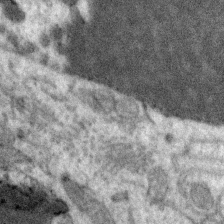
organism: Zebra finch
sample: Brain